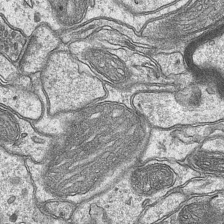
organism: Mouse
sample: CA1 Hippocampus